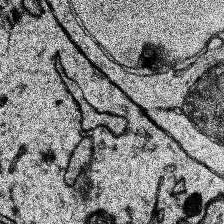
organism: Human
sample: Temporal Lobe